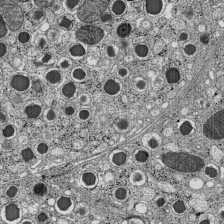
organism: C57BL Mouse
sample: Pancreatic islet